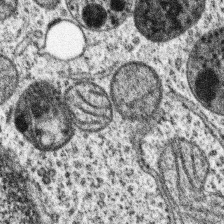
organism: Human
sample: HeLa cells